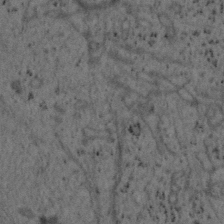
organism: Human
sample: HeLa cells